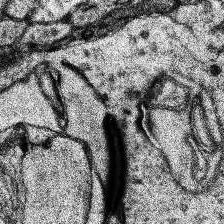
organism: Human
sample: Temporal Lobe